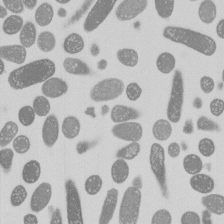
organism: E. coli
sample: Bacterial nucleoid